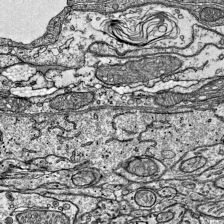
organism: Mouse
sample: Visual Cortex